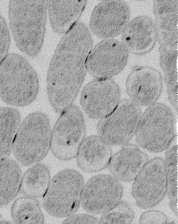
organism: E. coli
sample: Bacterial nucleoid